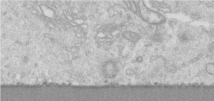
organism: Human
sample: Centriole in RPE cells